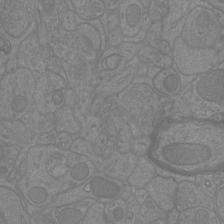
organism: Mouse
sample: Cortical neurons